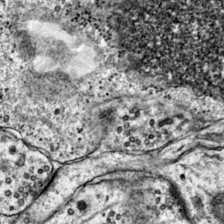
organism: Mouse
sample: Primary visual cortex